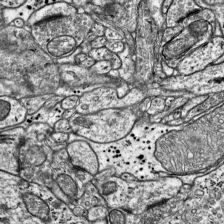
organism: Mouse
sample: Visual Cortex